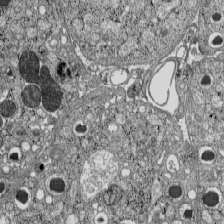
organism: C57BL Mouse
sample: Pancreatic islet